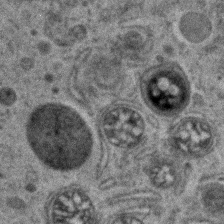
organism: Zebrafish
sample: Zebrafish embryo